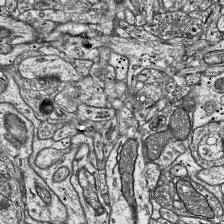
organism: Mouse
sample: Visual Cortex